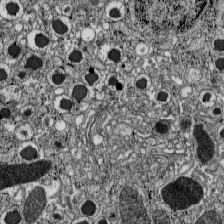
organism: C57BL Mouse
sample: Pancreatic islet